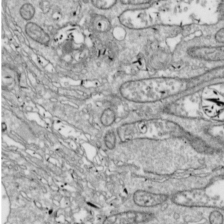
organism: Drosophila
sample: Cell division; meiosis; drosophila spermatocytes